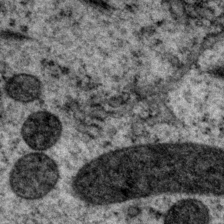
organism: P. pacificus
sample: Pharynx